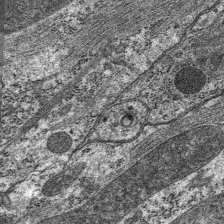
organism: C. elegans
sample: Pharynx